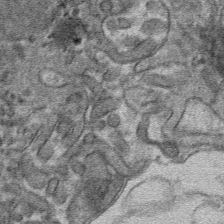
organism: Mouse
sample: Mouse hepatocytes